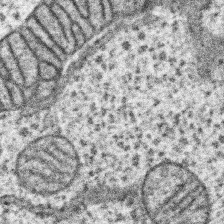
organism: Human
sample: HeLa cells